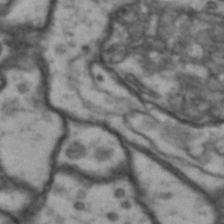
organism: Drosophila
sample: Brain